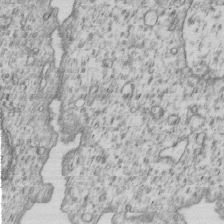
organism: Human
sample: MDA-MB-231 cells